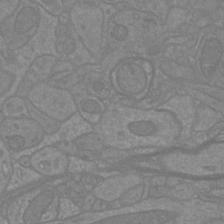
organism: Mouse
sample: Cortical neurons